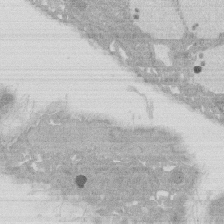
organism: Rat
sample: Salivary granule